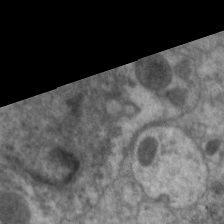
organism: C. elegans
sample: Pharynx